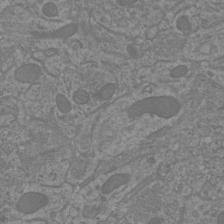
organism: Mouse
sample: Cortical neurons